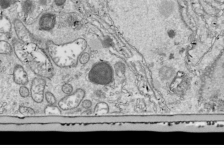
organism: Drosophila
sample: Cell division; meiosis; drosophila spermatocytes